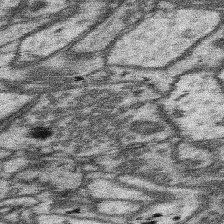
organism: Mouse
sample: Somatosensory cortex neuropil